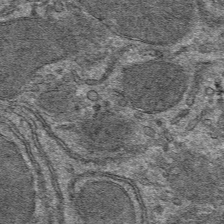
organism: Mouse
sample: Mouse hepatocytes